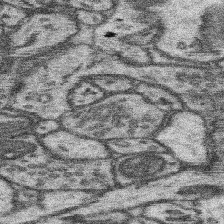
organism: Mouse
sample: Somatosensory cortex neuropil